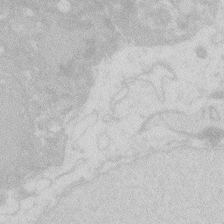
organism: Zebrafish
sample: Macrophage